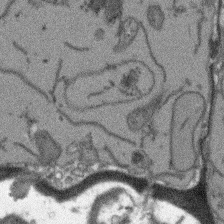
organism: Arabidopsis thaliana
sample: Root tip